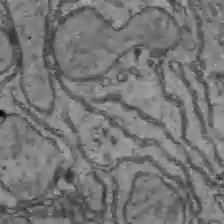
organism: C57BL Mouse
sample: Liver